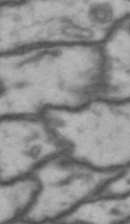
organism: Drosophila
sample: Brain